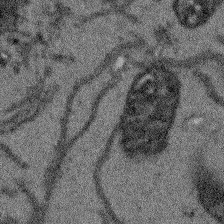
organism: Arabidopsis thaliana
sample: Root tip